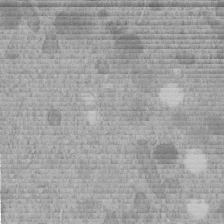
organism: C. elegans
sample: C. elegans embryo early stage